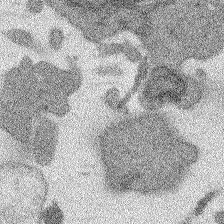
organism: Human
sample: HeLa cells